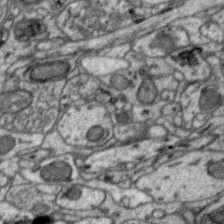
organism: Zebra finch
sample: Brain